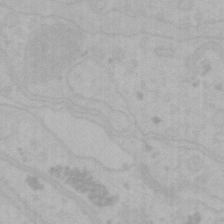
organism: Mouse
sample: Choroid plexus